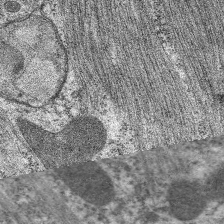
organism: C. elegans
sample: Pharynx